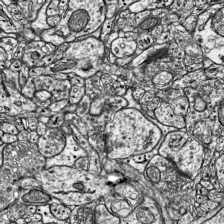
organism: Mouse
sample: Visual Cortex